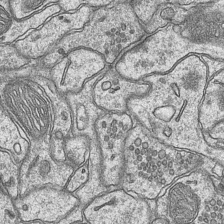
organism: Mouse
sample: CA1 Hippocampus